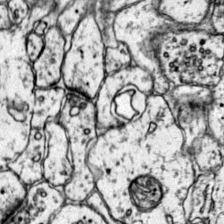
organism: Mouse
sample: Primary visual cortex